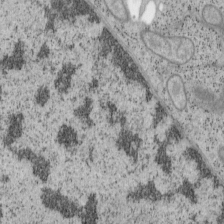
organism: Mouse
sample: OT-I killer T cells with ID8 ovarian cancer cells